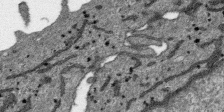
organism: Human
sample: Lung epithelial cells, uninfected (mock) control